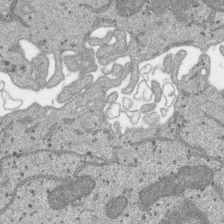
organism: Human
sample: Lung epithelial cells infected with SARS-CoV-2